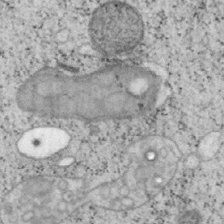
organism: Mouse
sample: OT-I killer T cells with ID8 ovarian cancer cells